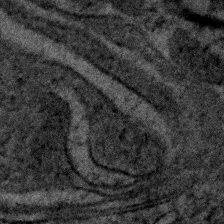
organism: Human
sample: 1205lu cells